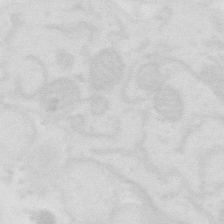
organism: Human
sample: HeLa cells